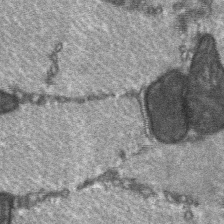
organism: C57BL Mouse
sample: Soleus